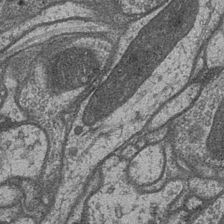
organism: Drosophila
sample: Optic medulla